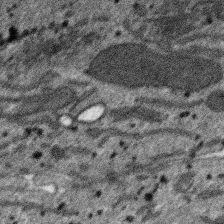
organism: Human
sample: Lung epithelial cells infected with SARS-CoV-2